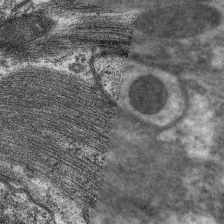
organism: C. elegans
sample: Pharynx